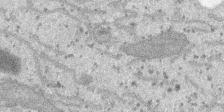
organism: Human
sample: Lung epithelial cells infected with SARS-CoV-2